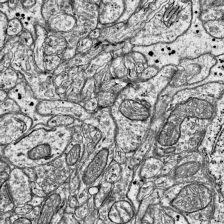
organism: Mouse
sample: Visual Cortex